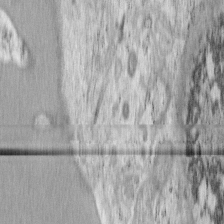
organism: Human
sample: HeLa cells